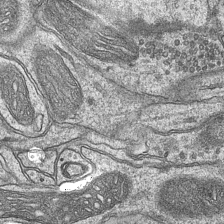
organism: Mouse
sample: CA1 Hippocampus